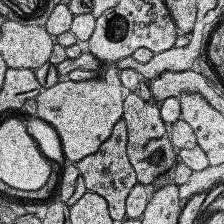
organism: Human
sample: Temporal Lobe